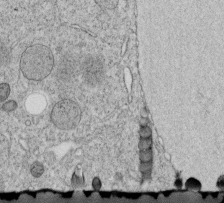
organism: C. elegans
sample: C. elegans embryo early stage